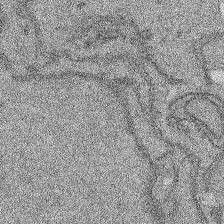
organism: Human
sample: HeLa cells